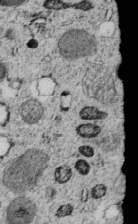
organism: C. elegans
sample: C. elegans embryo early stage